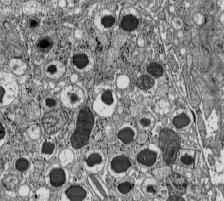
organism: C57BL Mouse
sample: Pancreatic islet